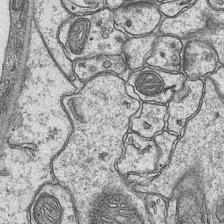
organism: Mouse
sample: CA1 Hippocampus